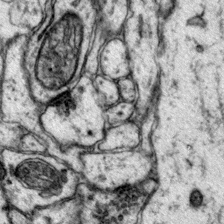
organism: Mouse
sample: Primary visual cortex